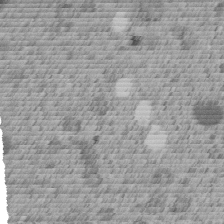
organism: C. elegans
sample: C. elegans embryo early stage